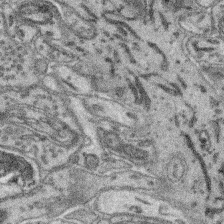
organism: Mouse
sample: Retina